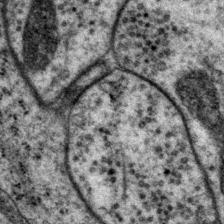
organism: P. pacificus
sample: Pharynx